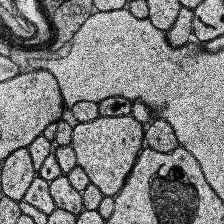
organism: Human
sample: Temporal Lobe